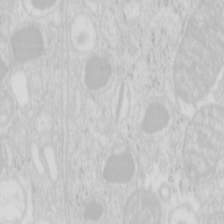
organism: Mouse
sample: Pancreas